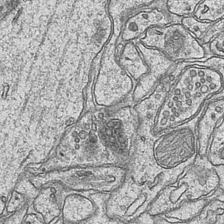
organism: Mouse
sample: CA1 Hippocampus